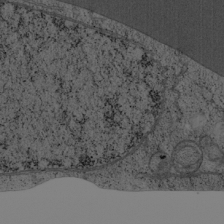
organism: African green monkey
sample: COS-7 cells